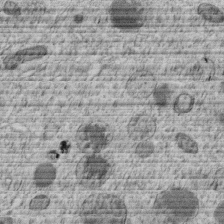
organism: C. elegans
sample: C. elegans embryo early stage